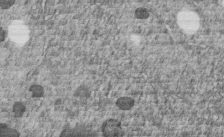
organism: C. elegans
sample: C. elegans embryo early stage